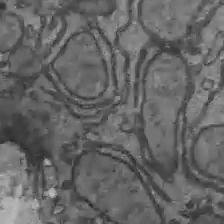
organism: C57BL Mouse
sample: Liver